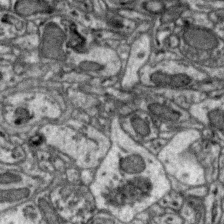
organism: Zebra finch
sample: Brain